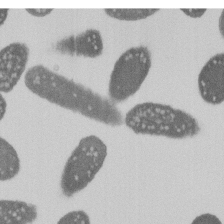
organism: E. coli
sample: Bacterial nucleoid